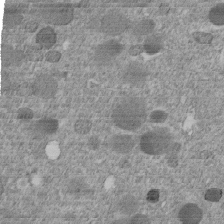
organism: C. elegans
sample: C. elegans embryo early stage